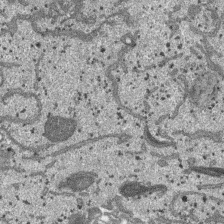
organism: Human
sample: Lung epithelial cells infected with SARS-CoV-2